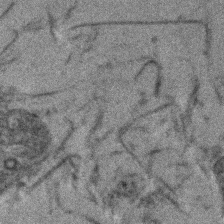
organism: Human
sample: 1205lu cells